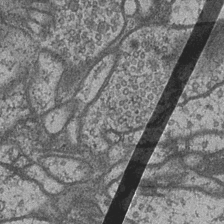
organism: Drosophila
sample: Optic medulla